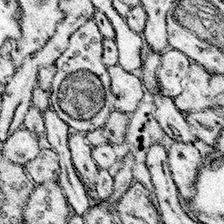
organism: Mouse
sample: Somatosensory cortex neuropil